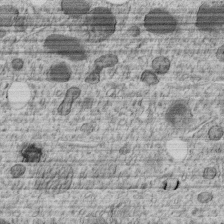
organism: C. elegans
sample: C. elegans embryo early stage